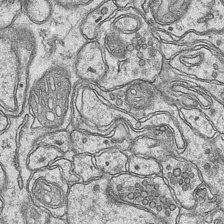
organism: Mouse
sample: CA1 Hippocampus